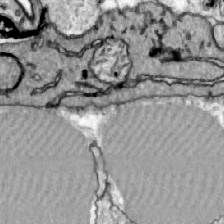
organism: Zebrafish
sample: Actinotrichia fibers